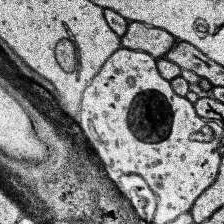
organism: Human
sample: Temporal Lobe